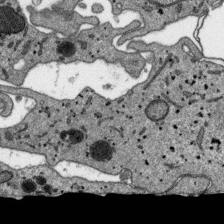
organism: Human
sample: Lung epithelial cells, uninfected (mock) control